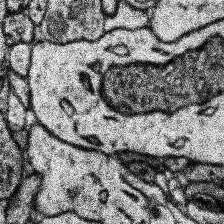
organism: Human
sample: Temporal Lobe